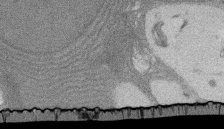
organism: Rat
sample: Salivary granule